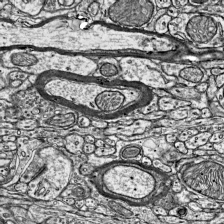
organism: Mouse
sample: Visual Cortex